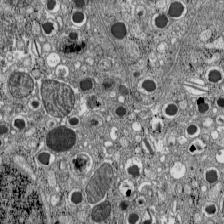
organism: C57BL Mouse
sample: Pancreatic islet